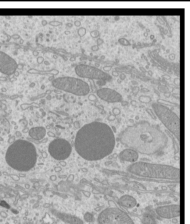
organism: Mouse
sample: Cilia; mouse epididymis